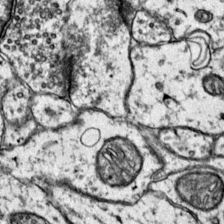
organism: Mouse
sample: Primary visual cortex